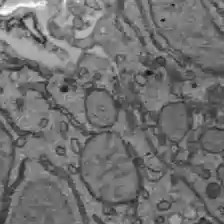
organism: C57BL Mouse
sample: Liver